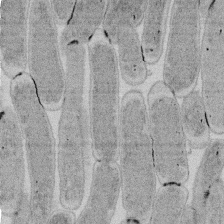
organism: E. coli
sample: Bacterial nucleoid